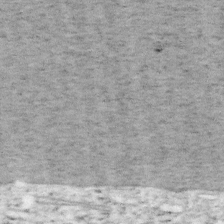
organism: Mouse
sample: OT-I killer T cells with ID8 ovarian cancer cells